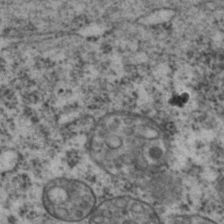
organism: C. elegans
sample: C. elegans embryo